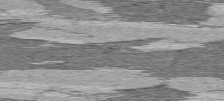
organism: C57BL Mouse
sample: Heart